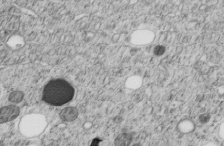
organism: C. elegans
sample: C. elegans embryo early stage